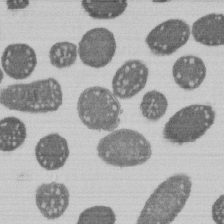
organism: E. coli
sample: Bacterial nucleoid